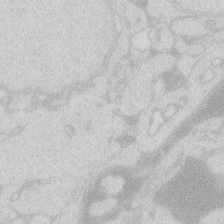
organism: Zebrafish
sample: Macrophage